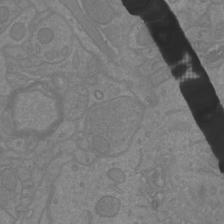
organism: Mouse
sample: Cortical neurons